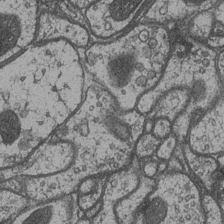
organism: Drosophila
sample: Optic medulla